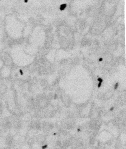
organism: Mouse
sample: T cell stromal cell synapse